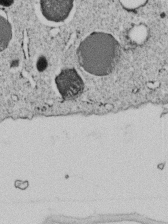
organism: C. elegans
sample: C. elegans embryo early stage